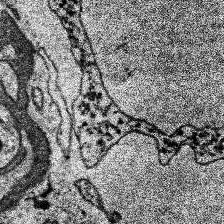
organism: Human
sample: Temporal Lobe